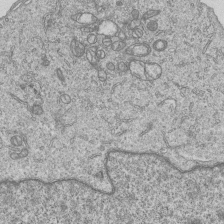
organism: Human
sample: MDA-MB-231 cells